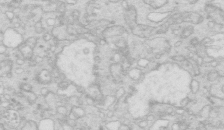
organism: Mouse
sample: Multiciliated cells